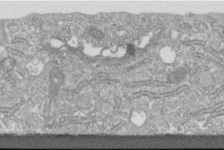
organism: Human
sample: Centriole in fibroblast cells